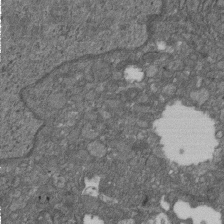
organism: Drosophila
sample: Nephrocyte